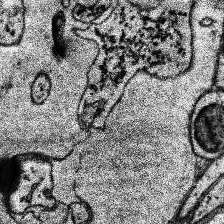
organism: Human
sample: Temporal Lobe